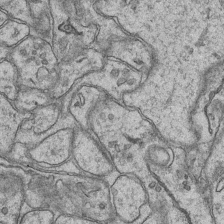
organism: Mouse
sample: CA1 Hippocampus